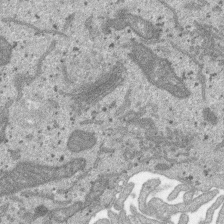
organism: Human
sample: Lung epithelial cells infected with SARS-CoV-2